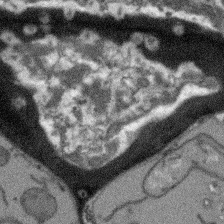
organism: Arabidopsis thaliana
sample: Root tip